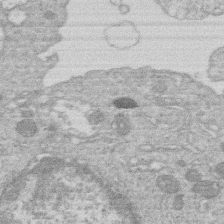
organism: Human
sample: Macrophage cells